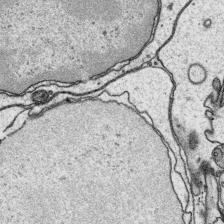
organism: Platynereis dumerilii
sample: Parapodia